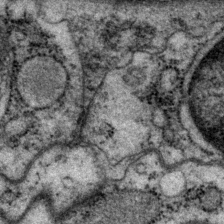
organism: P. pacificus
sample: Pharynx